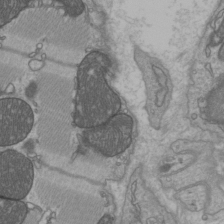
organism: C57BL Mouse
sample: Heart